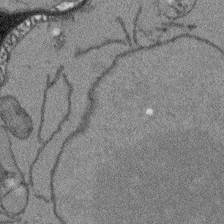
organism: Arabidopsis thaliana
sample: Root tip